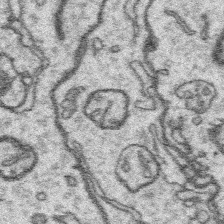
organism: Platynereis dumerilii